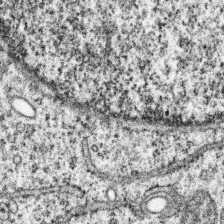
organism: Human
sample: HeLa cells